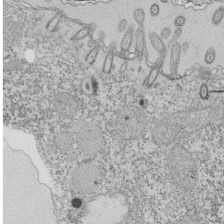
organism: Tetrahymena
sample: Cilia in tetrahymena